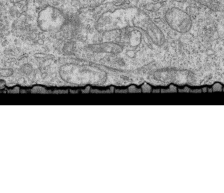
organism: Human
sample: HeLa cell HIV synapse